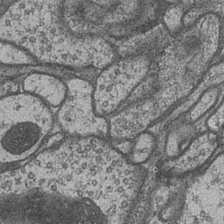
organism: Drosophila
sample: Optic medulla